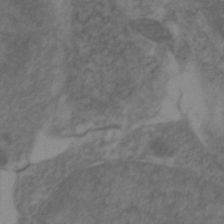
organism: Zebrafish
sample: Zebrafish embryo